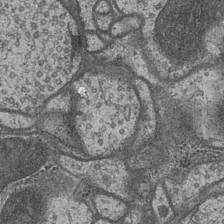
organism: Drosophila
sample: Optic medulla